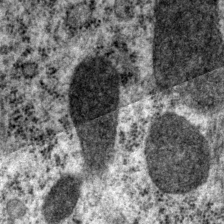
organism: P. pacificus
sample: Pharynx